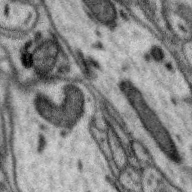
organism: Zebra finch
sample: Brain